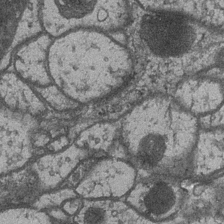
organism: Drosophila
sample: Optic medulla